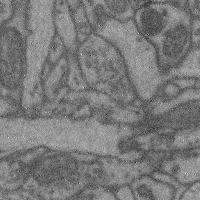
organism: Mouse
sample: Cerebral cortex